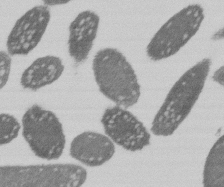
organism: E. coli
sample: Bacterial nucleoid